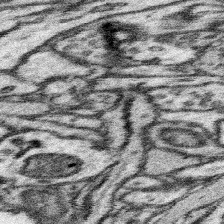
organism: Mouse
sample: Somatosensory cortex neuropil